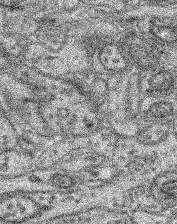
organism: Mouse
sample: Retina